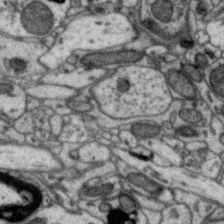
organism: Zebra finch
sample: Brain